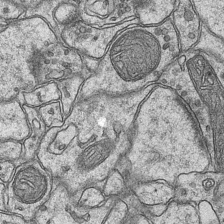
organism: Mouse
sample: CA1 Hippocampus